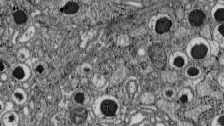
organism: C57BL Mouse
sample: Pancreatic islet